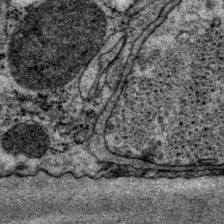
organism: P. pacificus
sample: Pharynx